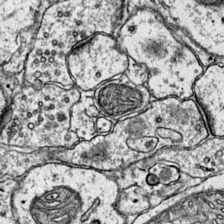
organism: Mouse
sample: Primary visual cortex